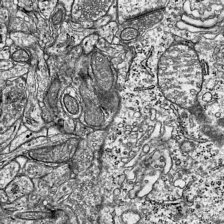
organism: Mouse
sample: Visual Cortex